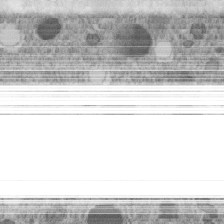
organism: C. elegans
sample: C. elegans embryo early stage